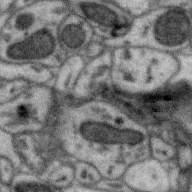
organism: Zebra finch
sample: Brain